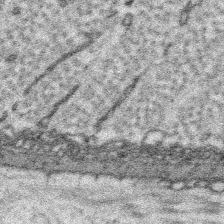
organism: Platynereis dumerilii